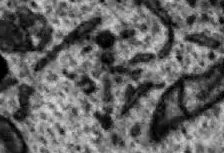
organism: Human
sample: HeLa cells